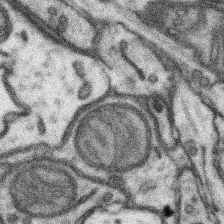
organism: Mouse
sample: Somatosensory cortex neuropil